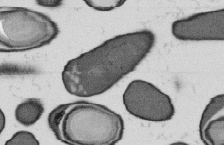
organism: B. subtilis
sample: Bacterial spore